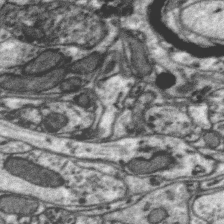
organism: Zebra finch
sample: Brain